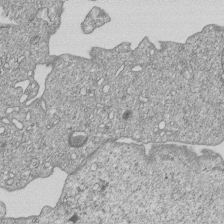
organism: Human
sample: MDA-MB-231 cells